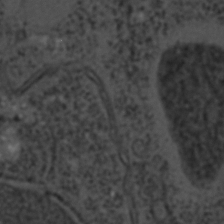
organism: C. elegans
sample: C. elegans embryo